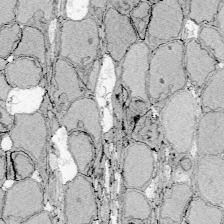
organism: Zebrafish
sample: Whole-Brain